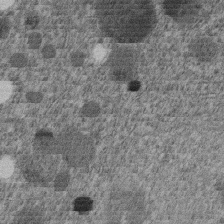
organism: C. elegans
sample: C. elegans embryo early stage